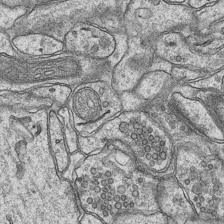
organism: Mouse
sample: CA1 Hippocampus